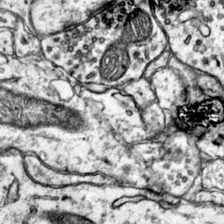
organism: Mouse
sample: Primary visual cortex